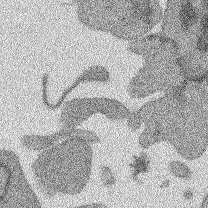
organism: Human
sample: HeLa cells